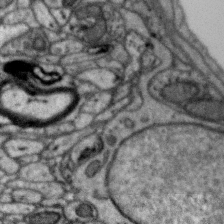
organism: Zebra finch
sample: Brain